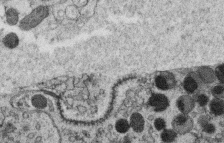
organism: C. elegans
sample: C. elegans oocyte; sperm cells